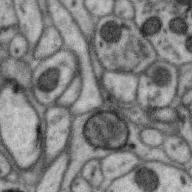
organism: Zebra finch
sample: Brain